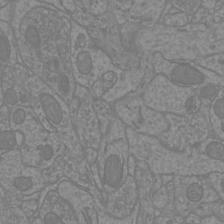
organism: Mouse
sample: Cortical neurons